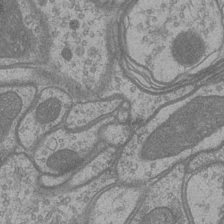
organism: Drosophila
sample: Optic medulla